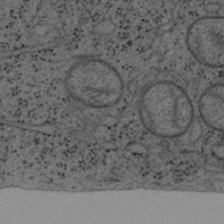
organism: Human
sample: HeLa cells